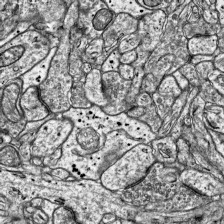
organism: Mouse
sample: Visual Cortex